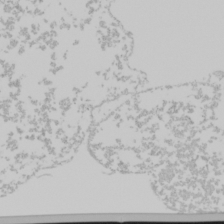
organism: Mouse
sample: Cancer cell death in ED-1 cells